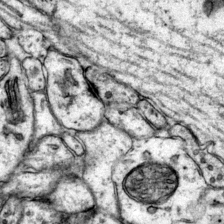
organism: Mouse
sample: Primary visual cortex